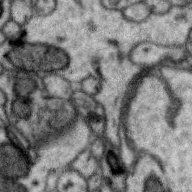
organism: Zebra finch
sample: Brain